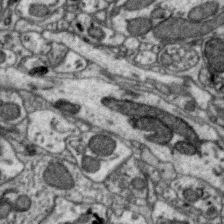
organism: Zebra finch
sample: Brain